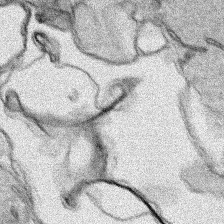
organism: Human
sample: Mitochondria in HCT116 cells